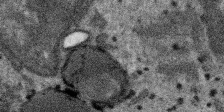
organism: Human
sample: Lung epithelial cells infected with SARS-CoV-2